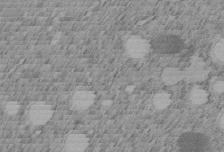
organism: C. elegans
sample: C. elegans embryo early stage